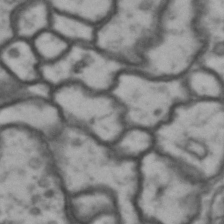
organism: Drosophila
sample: Brain